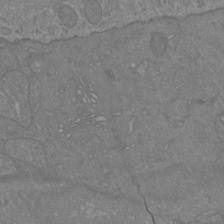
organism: Mouse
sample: Cortical neurons